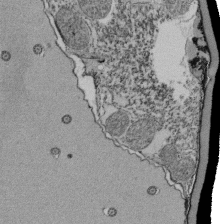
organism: Tetrahymena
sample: Cilia in tetrahymena